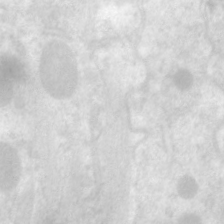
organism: C. elegans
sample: Pharynx